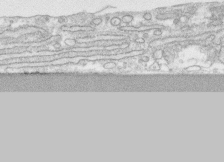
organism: Human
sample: CRL-1474